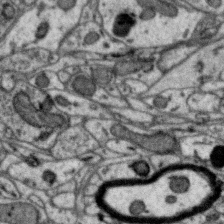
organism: Zebra finch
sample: Brain